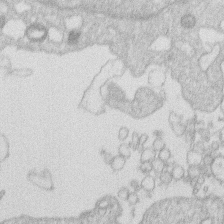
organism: Human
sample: Macrophage cells